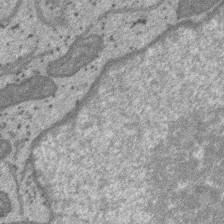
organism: Human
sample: Lung epithelial cells infected with SARS-CoV-2